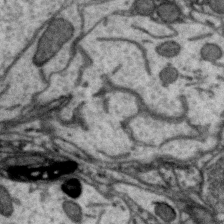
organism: Zebra finch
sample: Brain